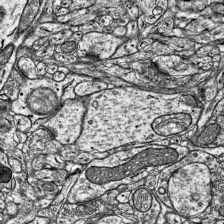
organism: Mouse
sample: Visual Cortex